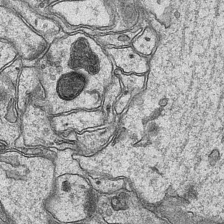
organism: Mouse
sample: CA1 Hippocampus